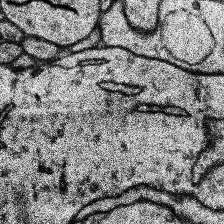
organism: Human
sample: Temporal Lobe